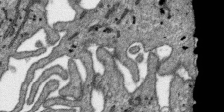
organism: Human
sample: Lung epithelial cells, uninfected (mock) control